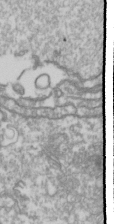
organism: Drosophila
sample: Cell division; meiosis; drosophila spermatocytes